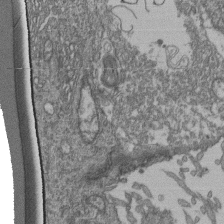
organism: Human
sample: Retinal organoid Rod and Cone cells